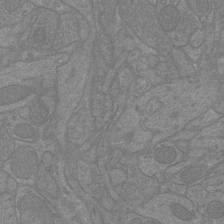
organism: Mouse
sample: Cortical neurons